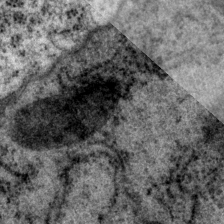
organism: P. pacificus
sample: Pharynx